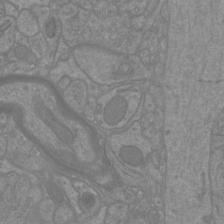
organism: Mouse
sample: Cortical neurons